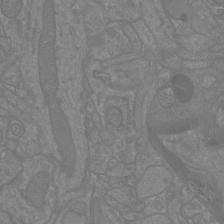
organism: Mouse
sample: Cortical neurons